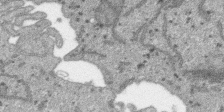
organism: Human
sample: Lung epithelial cells infected with SARS-CoV-2